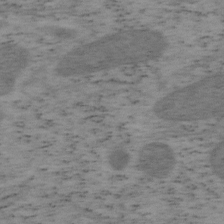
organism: Mouse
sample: OT-I killer T cells with ID8 ovarian cancer cells